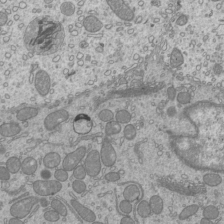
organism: Mouse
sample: Cilia; mouse epididymis